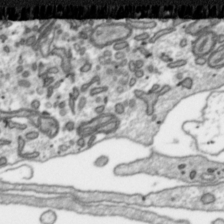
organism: Toxoplasma gondii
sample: Parasites in a vacuole inside a host cell